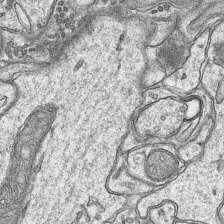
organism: Mouse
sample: CA1 Hippocampus